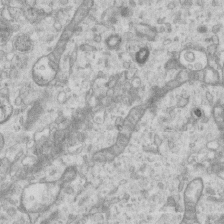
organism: Mouse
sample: Centriole in ependymal cells